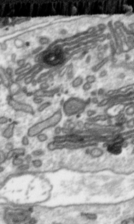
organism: Toxoplasma gondii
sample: Parasites in a vacuole inside a host cell